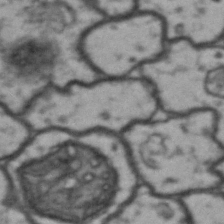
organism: Drosophila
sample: Brain